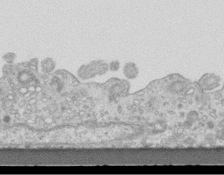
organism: Mouse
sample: Centriole in ependymal cells